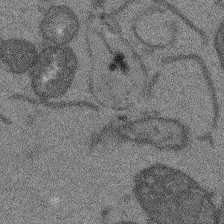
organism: Arabidopsis thaliana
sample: Root tip